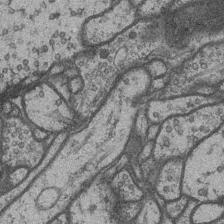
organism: Drosophila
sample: Optic medulla